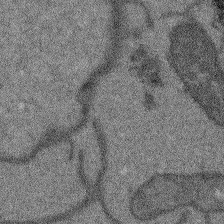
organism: Arabidopsis thaliana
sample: Root tip